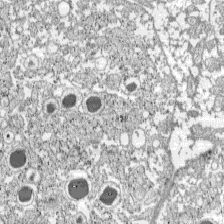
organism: C57BL Mouse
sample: Pancreatic islet